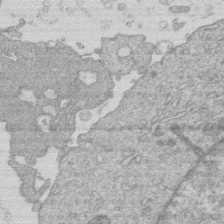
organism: Human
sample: Macrophage cells